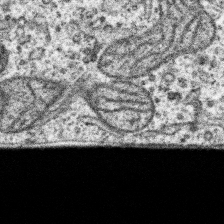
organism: Human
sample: HeLa cells